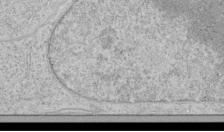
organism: Human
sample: Mitochondria in HCT116 cells